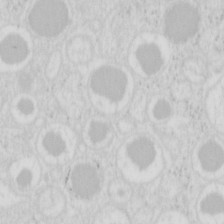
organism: Mouse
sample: Pancreas